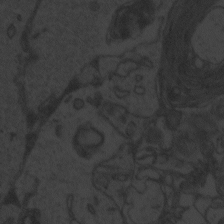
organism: Zebrafish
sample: Macrophage infected with Toxoplasma gondii